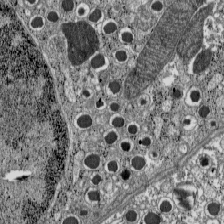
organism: C57BL Mouse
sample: Pancreatic islet